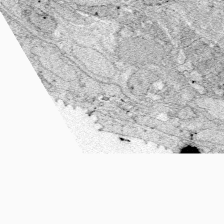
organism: Zebrafish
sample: Whole-Brain